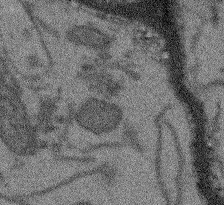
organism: Arabidopsis thaliana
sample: Root tip